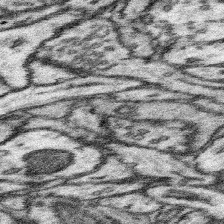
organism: Mouse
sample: Somatosensory cortex neuropil